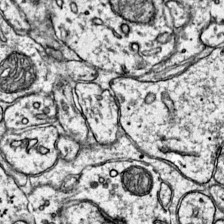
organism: Mouse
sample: Primary visual cortex